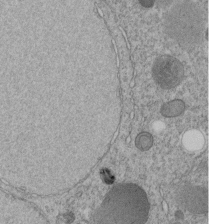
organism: C. elegans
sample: C. elegans embryo early stage